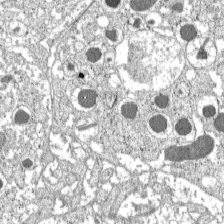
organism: C57BL Mouse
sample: Pancreatic islet